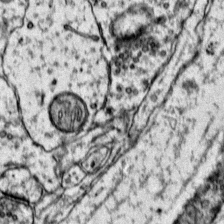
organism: Mouse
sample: Primary visual cortex